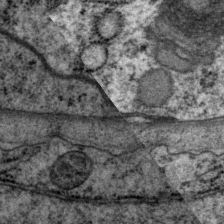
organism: P. pacificus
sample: Pharynx